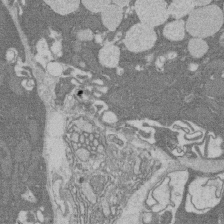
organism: Rat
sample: Salivary granule